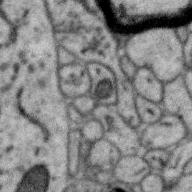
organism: Zebra finch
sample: Brain